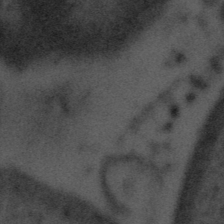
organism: Tuwongella immobilis